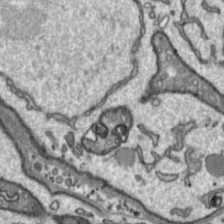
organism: Toxoplasma gondii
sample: Parasites in a vacuole inside a host cell